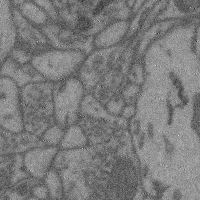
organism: Mouse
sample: Cerebral cortex